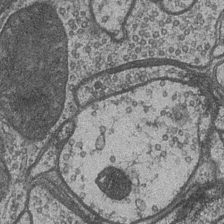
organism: Drosophila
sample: Optic medulla